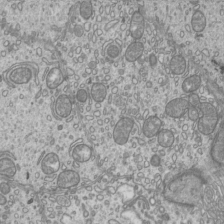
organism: Mouse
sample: Cilia; mouse epididymis